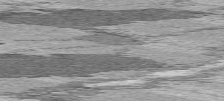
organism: C57BL Mouse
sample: Heart